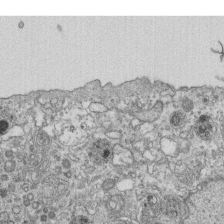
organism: Human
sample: HeLa cell HIV synapse